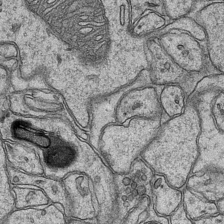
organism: Mouse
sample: CA1 Hippocampus